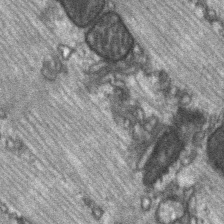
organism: C57BL Mouse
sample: Soleus